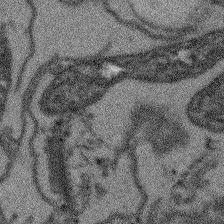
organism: Arabidopsis thaliana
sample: Root tip